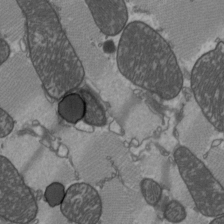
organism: C57BL Mouse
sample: Heart